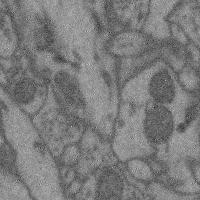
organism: Mouse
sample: Cerebral cortex